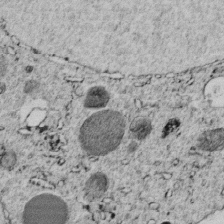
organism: C. elegans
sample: C. elegans embryo early stage